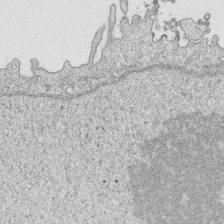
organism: Human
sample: HeLa cell HIV synapse